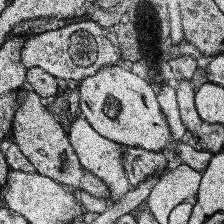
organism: Human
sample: Temporal Lobe